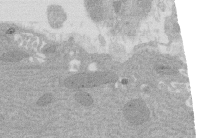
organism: Rat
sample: Salivary granule